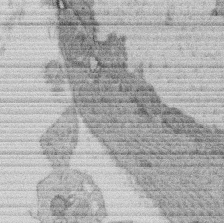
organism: Rat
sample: Salivary granule